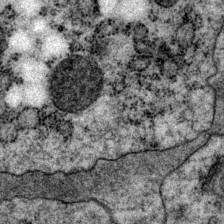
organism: P. pacificus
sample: Pharynx